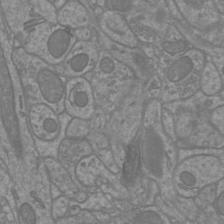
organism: Mouse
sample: Cortical neurons